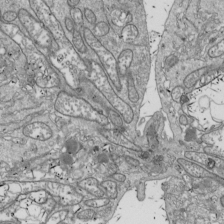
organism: Drosophila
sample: Cell division; meiosis; drosophila spermatocytes